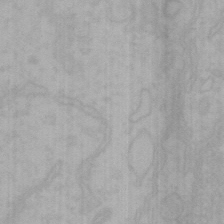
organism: Mouse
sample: Choroid plexus